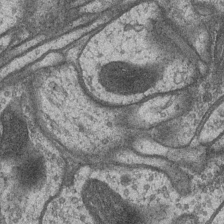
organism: Drosophila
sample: Optic medulla